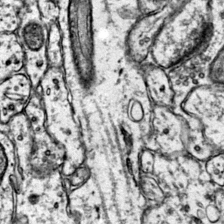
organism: Mouse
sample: Primary visual cortex